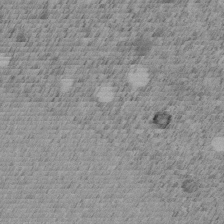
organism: C. elegans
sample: C. elegans embryo early stage